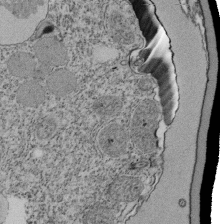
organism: Tetrahymena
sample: Cilia in tetrahymena